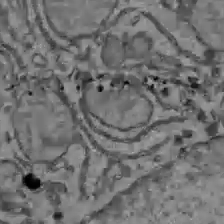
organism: C57BL Mouse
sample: Liver